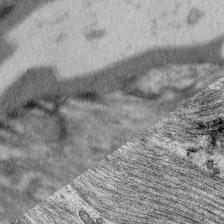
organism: C. elegans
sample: Pharynx